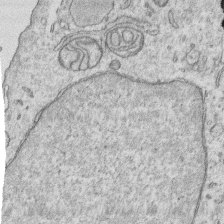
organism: Human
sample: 1205lu cells